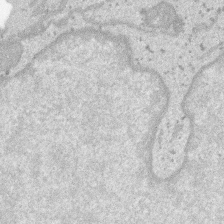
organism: Human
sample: Lung epithelial cells infected with SARS-CoV-2